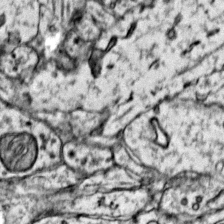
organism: Mouse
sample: Primary visual cortex